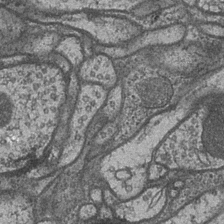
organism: Drosophila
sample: Optic medulla